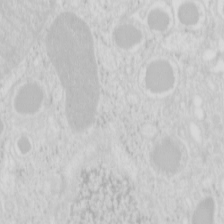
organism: Mouse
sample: Pancreas